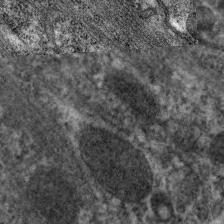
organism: C. elegans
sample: Pharynx